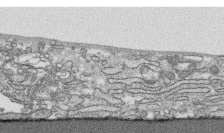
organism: Human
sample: CRL-1474